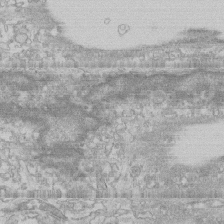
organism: Human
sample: CRL-1474